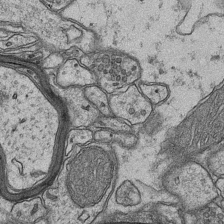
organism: Mouse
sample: CA1 Hippocampus